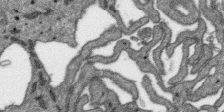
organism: Human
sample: Lung epithelial cells, uninfected (mock) control